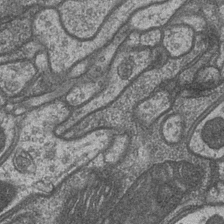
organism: Drosophila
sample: Optic medulla